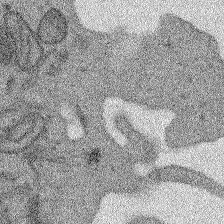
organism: Human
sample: HeLa cells